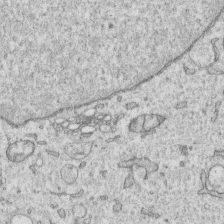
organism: Human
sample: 1205lu cells